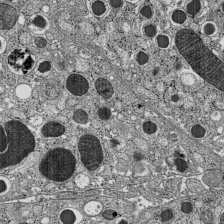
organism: C57BL Mouse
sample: Pancreatic islet